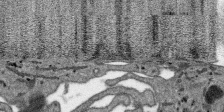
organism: Human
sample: Lung epithelial cells, uninfected (mock) control